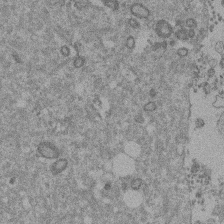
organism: Mouse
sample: Dividing mouse embryo 1 cell stage